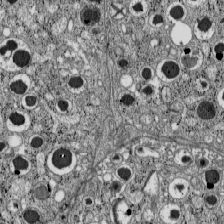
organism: C57BL Mouse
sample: Pancreatic islet